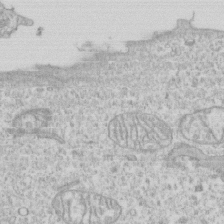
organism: Human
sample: CRL-1474